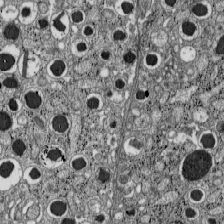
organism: C57BL Mouse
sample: Pancreatic islet